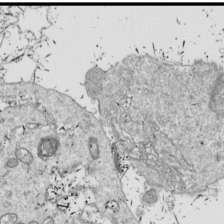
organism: Drosophila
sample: Cell division; meiosis; drosophila spermatocytes